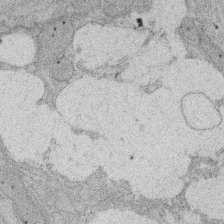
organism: Rat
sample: Salivary granule